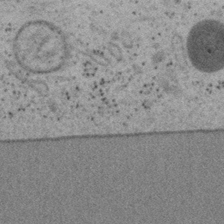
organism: Human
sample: HeLa cells